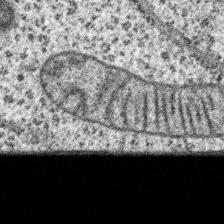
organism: Human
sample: HeLa cells